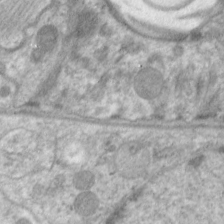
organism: C. elegans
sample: Pharynx